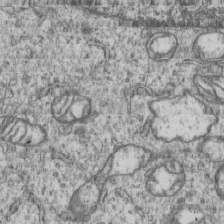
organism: Human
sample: MDA-MB-231 cells